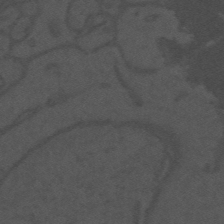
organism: Mouse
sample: Suprachiasmatic nucleus